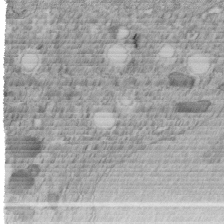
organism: C. elegans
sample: C. elegans embryo early stage